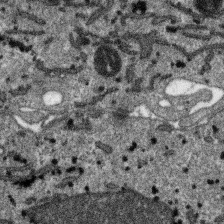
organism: Human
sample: Lung epithelial cells infected with SARS-CoV-2